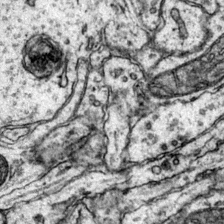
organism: Mouse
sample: Primary visual cortex